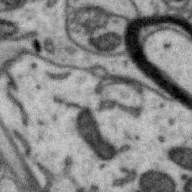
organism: Zebra finch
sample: Brain